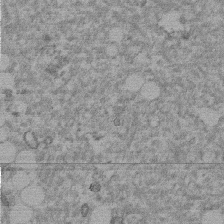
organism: Mouse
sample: Dividing mouse embryo 1 cell stage